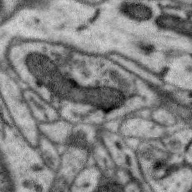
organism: Zebra finch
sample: Brain